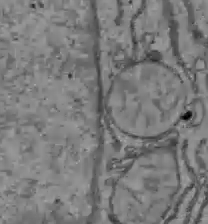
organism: C57BL Mouse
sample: Liver